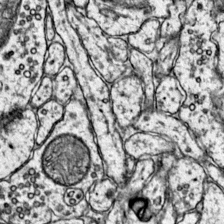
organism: Mouse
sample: Primary visual cortex